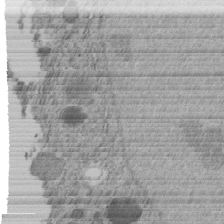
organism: C. elegans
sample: C. elegans embryo early stage